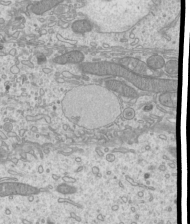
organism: Mouse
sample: Cilia; mouse epididymis